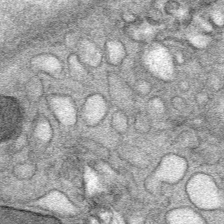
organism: Mouse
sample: Mouse Salivary gland